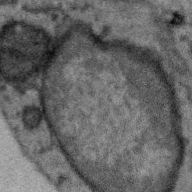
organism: Zebra finch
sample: Brain